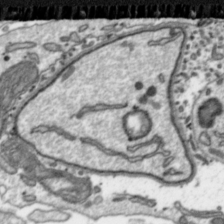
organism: Toxoplasma gondii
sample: Parasites in a vacuole inside a host cell